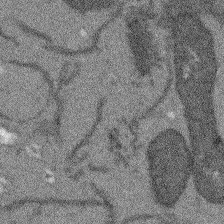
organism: Arabidopsis thaliana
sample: Root tip